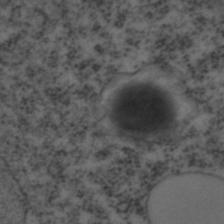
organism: C. elegans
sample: C. elegans embryo